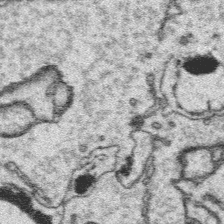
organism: Platynereis dumerilii